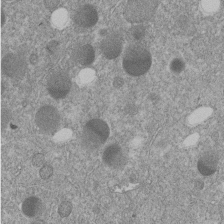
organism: C. elegans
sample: C. elegans embryo early stage